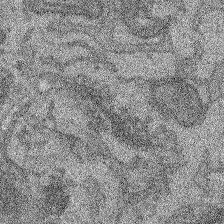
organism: Human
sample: HeLa cells